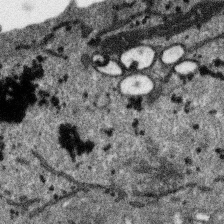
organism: Human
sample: Lung epithelial cells infected with SARS-CoV-2